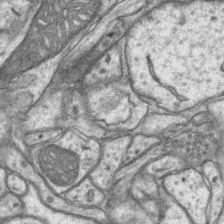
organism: Mouse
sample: CA1 Hippocampus